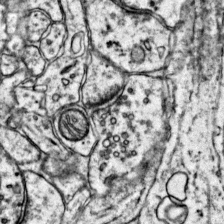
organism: Mouse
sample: Primary visual cortex